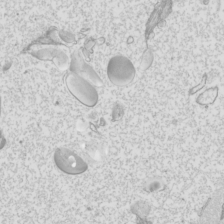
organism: Mouse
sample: Cilia; mouse epididymis